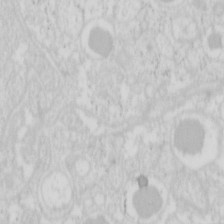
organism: Mouse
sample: Pancreas